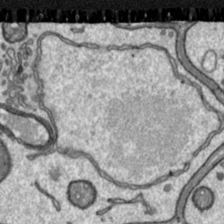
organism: Toxoplasma gondii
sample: Parasites in a vacuole inside a host cell